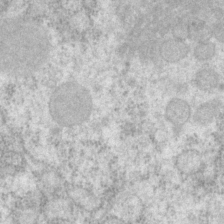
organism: P. pacificus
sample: Pharynx